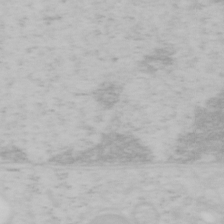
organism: Mouse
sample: OT-I killer T cells with ID8 ovarian cancer cells